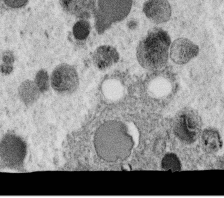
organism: C. elegans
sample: C. elegans oocyte; sperm cells